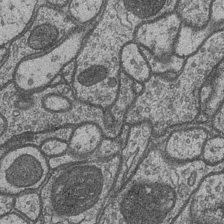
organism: Drosophila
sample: Optic medulla